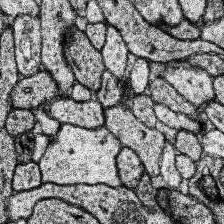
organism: Human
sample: Temporal Lobe